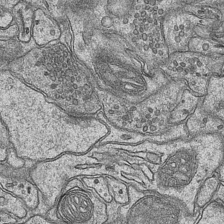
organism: Mouse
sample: CA1 Hippocampus